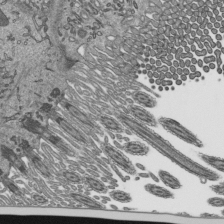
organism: Mouse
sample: Mouse epididymis efferent ductule cilia